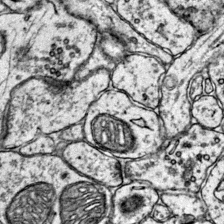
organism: Mouse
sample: Primary visual cortex